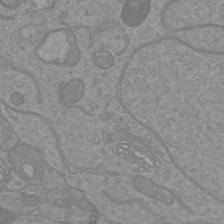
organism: Mouse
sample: Cortical neurons